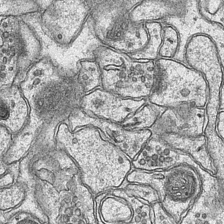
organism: Mouse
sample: CA1 Hippocampus